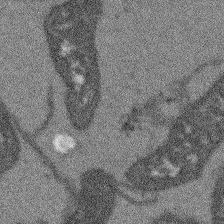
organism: Arabidopsis thaliana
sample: Root tip